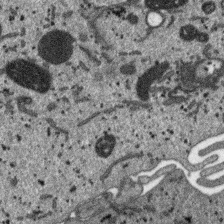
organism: Human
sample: Lung epithelial cells infected with SARS-CoV-2